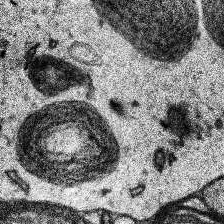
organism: Human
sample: Temporal Lobe